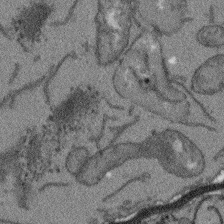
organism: Arabidopsis thaliana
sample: Root tip